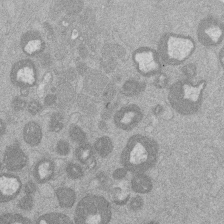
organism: Mouse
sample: Dividing mouse embryo 1 cell stage